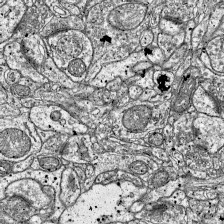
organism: Mouse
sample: Visual Cortex